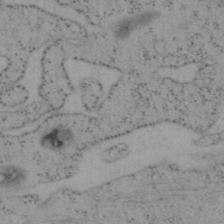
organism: Mouse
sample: OT-I killer T cells with ID8 ovarian cancer cells